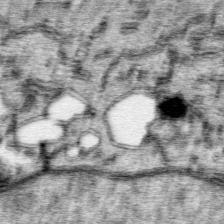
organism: Human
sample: HeLa cells